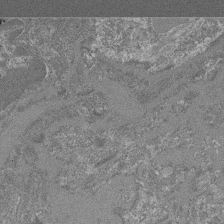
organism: Mouse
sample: Glomerulus